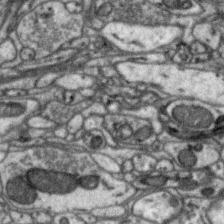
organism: Zebra finch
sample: Brain